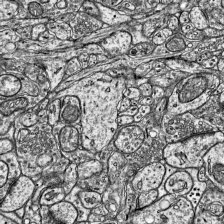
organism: Mouse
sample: Visual Cortex